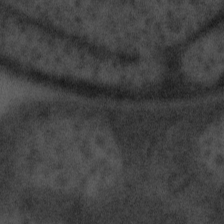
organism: Tuwongella immobilis